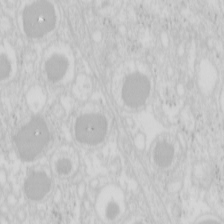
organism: Mouse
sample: Pancreas